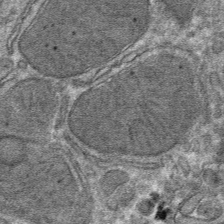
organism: Mouse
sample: Mouse hepatocytes